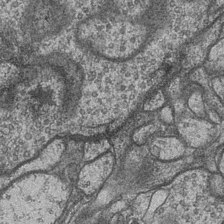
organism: Drosophila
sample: Optic medulla